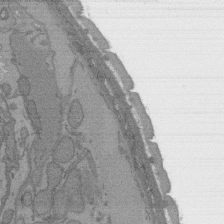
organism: C. elegans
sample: AFD neurons C. elegans